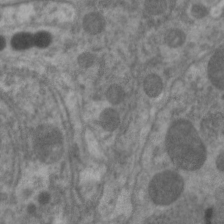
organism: C. elegans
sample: Pharynx